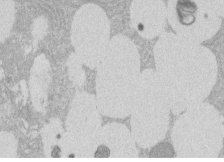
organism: Rat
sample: Salivary granule